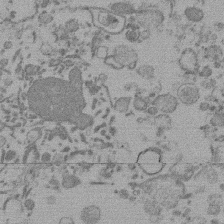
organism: Mouse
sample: Dividing mouse embryo 1 cell stage